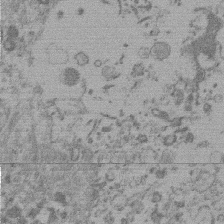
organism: Mouse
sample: Dividing mouse embryo 1 cell stage